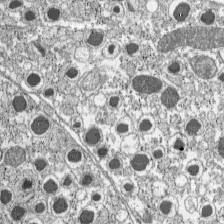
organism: C57BL Mouse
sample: Pancreatic islet